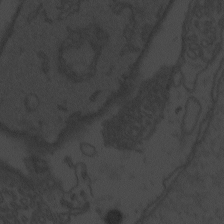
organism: Zebrafish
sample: Macrophage infected with Toxoplasma gondii